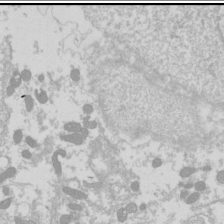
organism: Drosophila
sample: Cell division; meiosis; drosophila spermatocytes